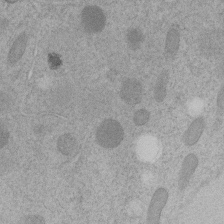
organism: C. elegans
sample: C. elegans embryo early stage